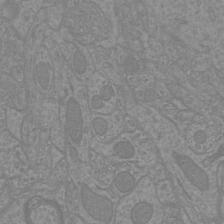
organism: Mouse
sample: Cortical neurons